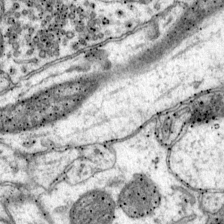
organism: Mouse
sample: Primary visual cortex